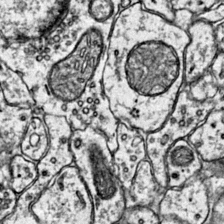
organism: Mouse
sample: Primary visual cortex